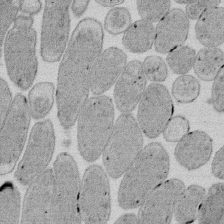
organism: E. coli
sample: Bacterial nucleoid